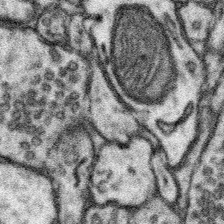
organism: Mouse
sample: Somatosensory cortex neuropil